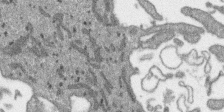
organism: Human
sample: Lung epithelial cells infected with SARS-CoV-2